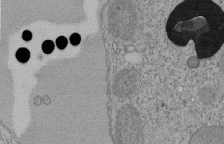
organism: Tetrahymena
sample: Cilia in tetrahymena